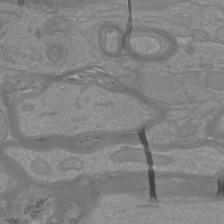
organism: Mouse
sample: Cortical neurons